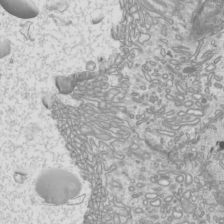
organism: Mouse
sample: Cilia; mouse epididymis